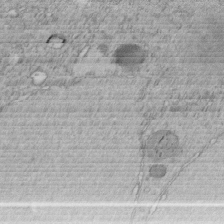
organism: C. elegans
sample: C. elegans embryo early stage